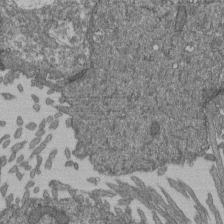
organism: Human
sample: Retinal organoid Rod and Cone cells